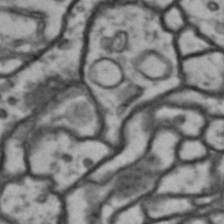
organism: Drosophila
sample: Brain